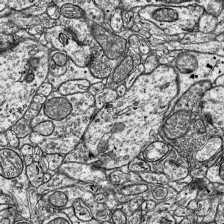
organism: Mouse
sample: Visual Cortex